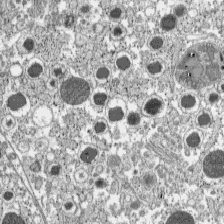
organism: C57BL Mouse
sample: Pancreatic islet